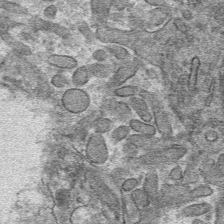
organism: Mouse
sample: Mouse hepatocytes